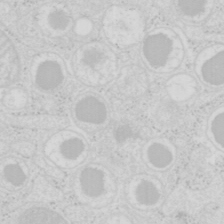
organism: Mouse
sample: Pancreas